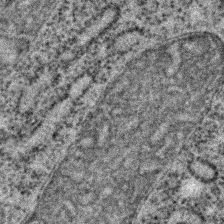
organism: C. elegans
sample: C. elegans embryo